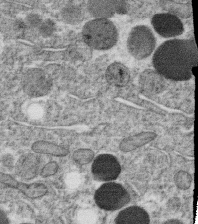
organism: C. elegans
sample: C. elegans oocyte; sperm cells